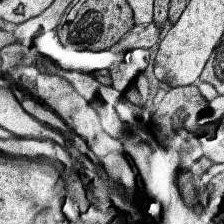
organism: Human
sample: Temporal Lobe